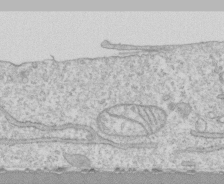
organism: Human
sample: CRL-1474